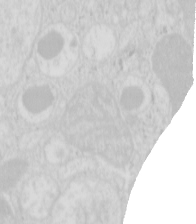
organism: Mouse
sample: Pancreas